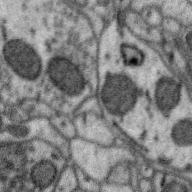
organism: Zebra finch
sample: Brain